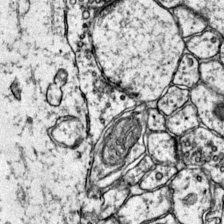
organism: Mouse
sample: Primary visual cortex